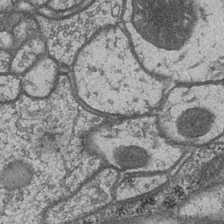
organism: Drosophila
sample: Optic medulla